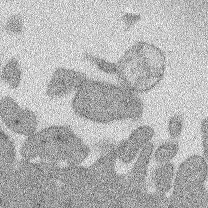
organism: Human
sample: HeLa cells